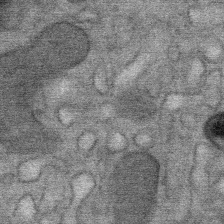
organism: Mouse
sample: Mouse Salivary gland